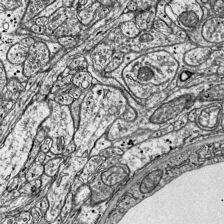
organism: Mouse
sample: Visual Cortex